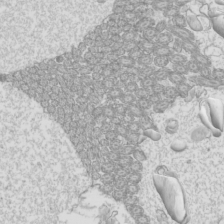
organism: Mouse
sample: Cilia; mouse epididymis